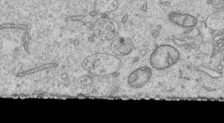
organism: Human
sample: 1205lu cells